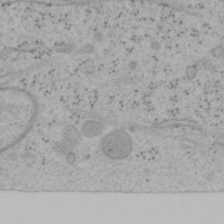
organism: Human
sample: HeLa cells